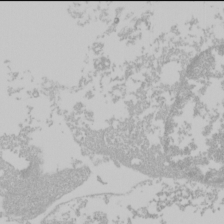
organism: Mouse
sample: Cancer cell death in ED-1 cells